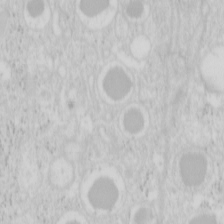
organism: Mouse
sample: Pancreas